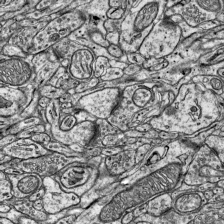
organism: Mouse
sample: Visual Cortex